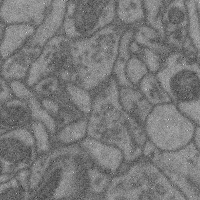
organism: Mouse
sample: Cerebral cortex